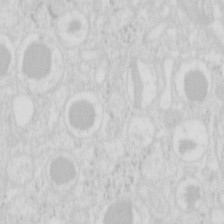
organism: Mouse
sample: Pancreas